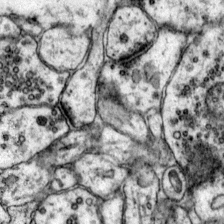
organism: Mouse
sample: Primary visual cortex